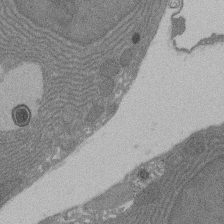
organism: Rat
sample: Salivary granule